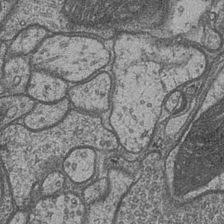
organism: Drosophila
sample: Optic medulla